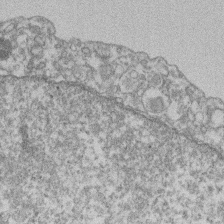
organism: Mouse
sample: T cell stromal cell synapse